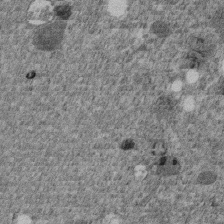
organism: C. elegans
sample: C. elegans embryo early stage